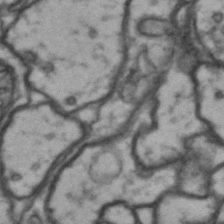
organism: Drosophila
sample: Brain